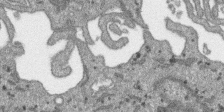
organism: Human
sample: Lung epithelial cells infected with SARS-CoV-2